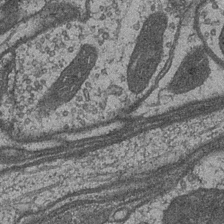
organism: Drosophila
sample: Optic medulla